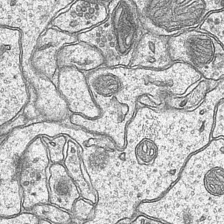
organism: Mouse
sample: CA1 Hippocampus